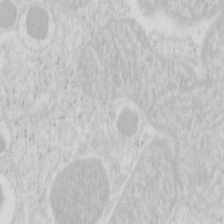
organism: Mouse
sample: Pancreas